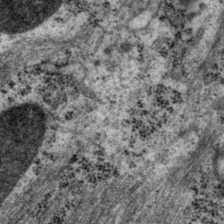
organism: P. pacificus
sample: Pharynx